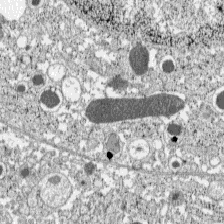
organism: C57BL Mouse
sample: Pancreatic islet